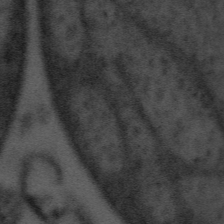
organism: Tuwongella immobilis